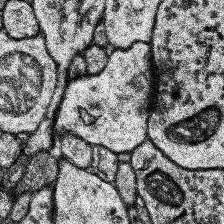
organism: Human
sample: Temporal Lobe